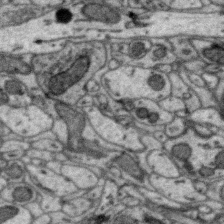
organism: Zebra finch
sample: Brain